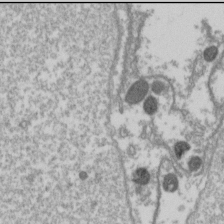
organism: Drosophila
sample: Cell division; meiosis; drosophila spermatocytes